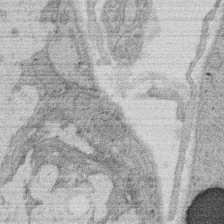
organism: Rat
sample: Salivary granule